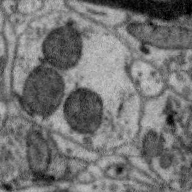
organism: Zebra finch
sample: Brain